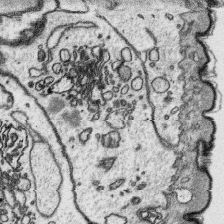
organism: Platynereis dumerilii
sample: Parapodia